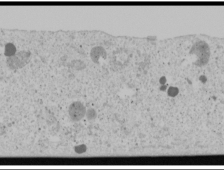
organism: Human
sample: Mitochondria in U2OS cells